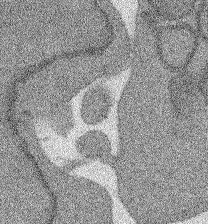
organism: Human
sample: HeLa cells